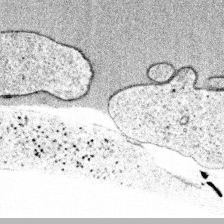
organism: Human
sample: HeLa cells